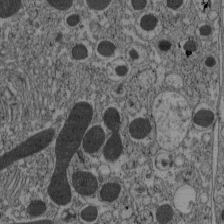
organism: C57BL Mouse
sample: Pancreatic islet